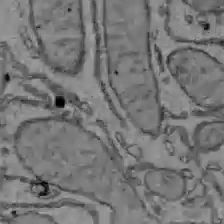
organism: C57BL Mouse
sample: Liver